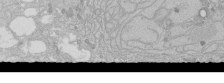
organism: Human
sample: Caco-2 cells